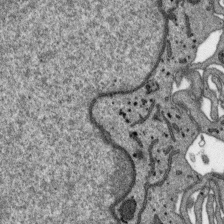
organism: Human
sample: Lung epithelial cells, uninfected (mock) control